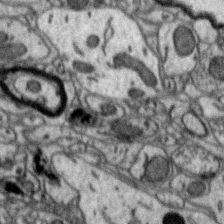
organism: Zebra finch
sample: Brain